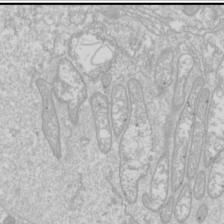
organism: Drosophila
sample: Cell division; meiosis; drosophila spermatocytes